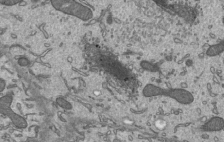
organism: Mouse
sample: Mouse epididymis efferent ductule cilia